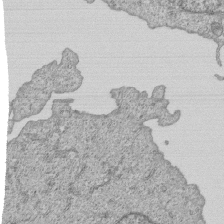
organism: Human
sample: MDA-MB-231 cells